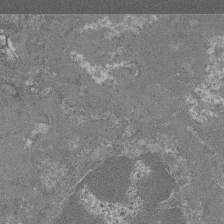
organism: Mouse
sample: Glomerulus